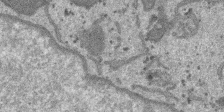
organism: Human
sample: Lung epithelial cells infected with SARS-CoV-2